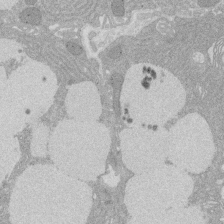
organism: Rat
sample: Salivary granule